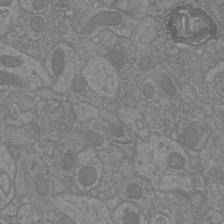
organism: Mouse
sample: Cortical neurons